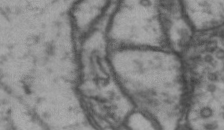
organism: Drosophila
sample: Brain